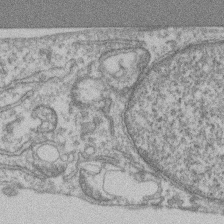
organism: Mouse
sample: T cell stromal cell synapse